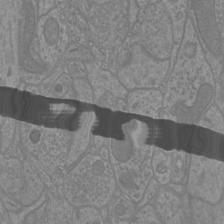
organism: Mouse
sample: Cortical neurons